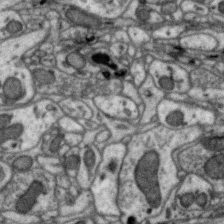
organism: Zebra finch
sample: Brain